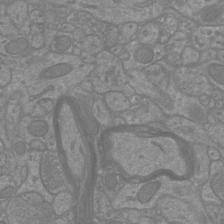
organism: Mouse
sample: Cortical neurons